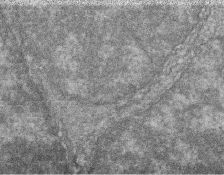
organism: Zebrafish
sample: Cilia; retinal pigment epithelium